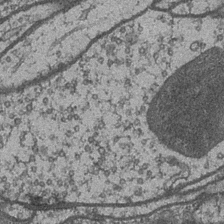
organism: Drosophila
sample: Optic medulla